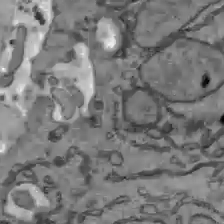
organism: C57BL Mouse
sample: Liver